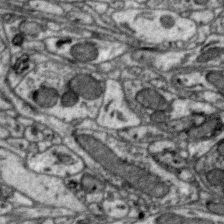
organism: Zebra finch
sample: Brain